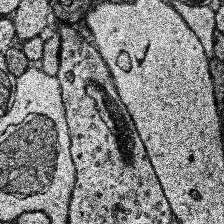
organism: Human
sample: Temporal Lobe